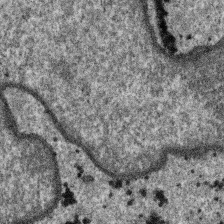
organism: Human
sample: Lung epithelial cells infected with SARS-CoV-2